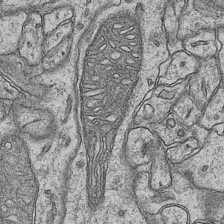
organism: Mouse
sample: CA1 Hippocampus